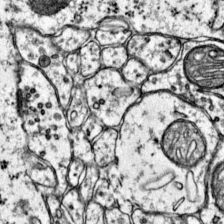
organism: Mouse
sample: Primary visual cortex